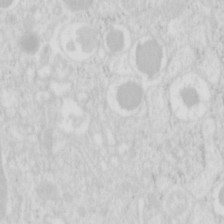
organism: Mouse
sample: Pancreas